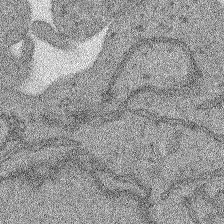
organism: Human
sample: HeLa cells